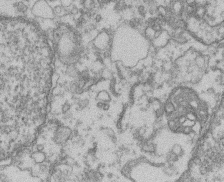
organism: Mouse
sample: T cell stromal cell synapse